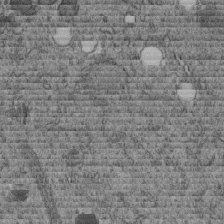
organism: C. elegans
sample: C. elegans embryo early stage